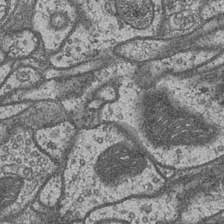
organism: Drosophila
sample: Optic medulla